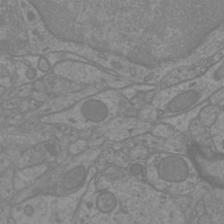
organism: Mouse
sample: Cortical neurons